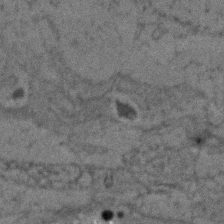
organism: Zebrafish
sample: Zebrafish embryo